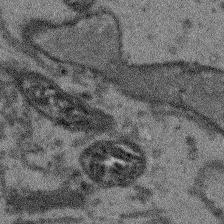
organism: Arabidopsis thaliana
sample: Root tip